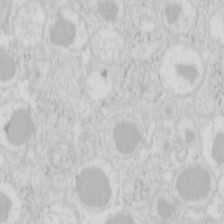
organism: Mouse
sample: Pancreas